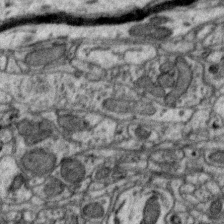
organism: Zebra finch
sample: Brain